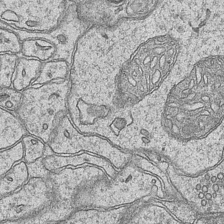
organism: Mouse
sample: CA1 Hippocampus